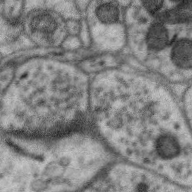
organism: Zebra finch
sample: Brain